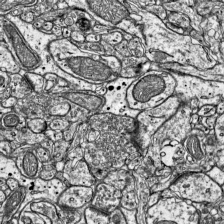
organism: Mouse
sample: Visual Cortex